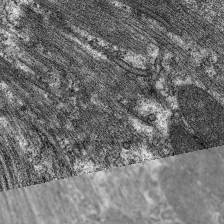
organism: C. elegans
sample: Pharynx